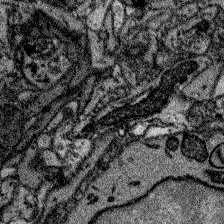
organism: Zebrafish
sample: Larval olfactory bulb